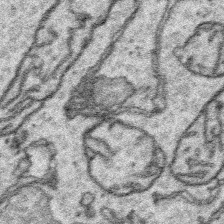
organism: Platynereis dumerilii